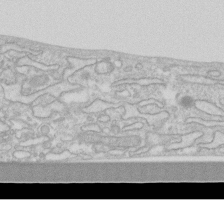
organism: Human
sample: Fibroblast cells